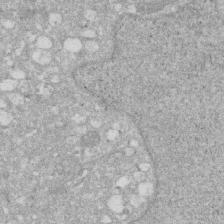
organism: Human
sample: HIV infected U937 cells